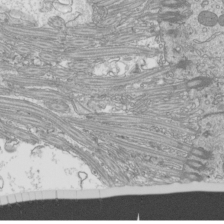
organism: Mouse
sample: Cilia; mouse epididymis